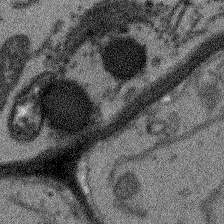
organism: Arabidopsis thaliana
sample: Root tip